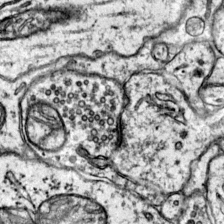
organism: Mouse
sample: Primary visual cortex